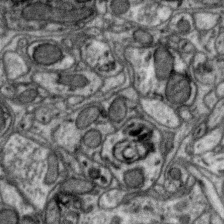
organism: Zebra finch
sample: Brain